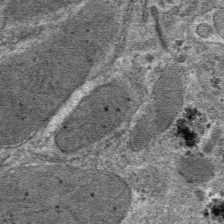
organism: Mouse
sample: Mouse hepatocytes